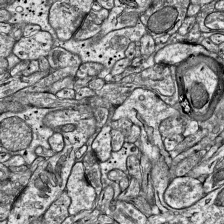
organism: Mouse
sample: Visual Cortex